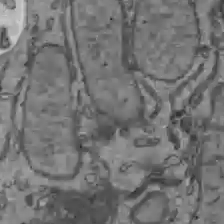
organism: C57BL Mouse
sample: Liver